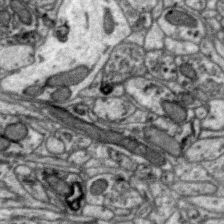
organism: Zebra finch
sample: Brain